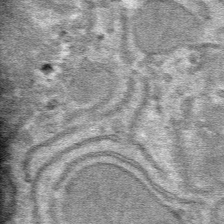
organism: Mouse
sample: Mouse hepatocytes